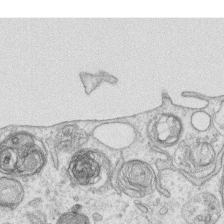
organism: Human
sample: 1205lu cells